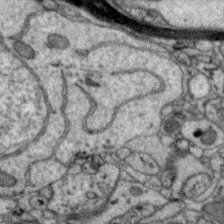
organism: Zebra finch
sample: Brain